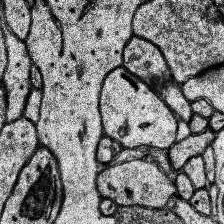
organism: Human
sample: Temporal Lobe